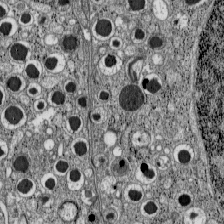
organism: C57BL Mouse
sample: Pancreatic islet